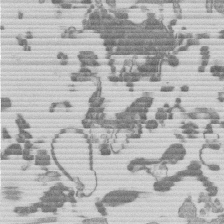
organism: Mouse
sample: Dividing mouse embryo 1 cell stage